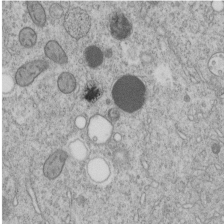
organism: C. elegans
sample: C. elegans embryo early stage